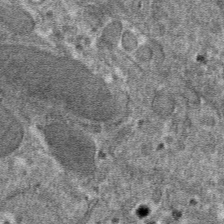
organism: Mouse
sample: Mouse hepatocytes